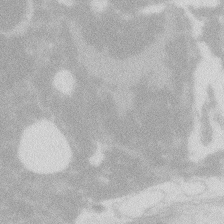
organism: Zebrafish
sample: Macrophage